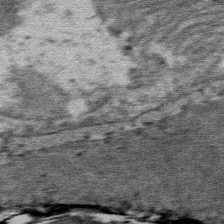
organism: Mouse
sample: Mouse Salivary gland